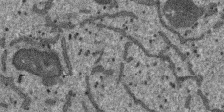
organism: Human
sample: Lung epithelial cells infected with SARS-CoV-2